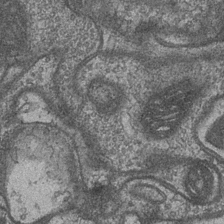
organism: Drosophila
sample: Optic medulla